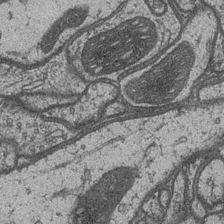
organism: Drosophila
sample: Optic medulla